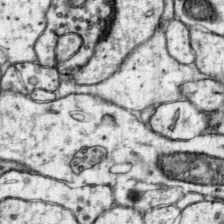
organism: Mouse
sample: Primary visual cortex